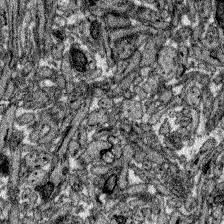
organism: Zebrafish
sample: Larval olfactory bulb